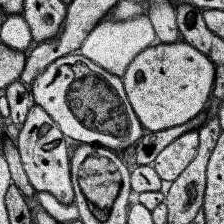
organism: Human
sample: Temporal Lobe